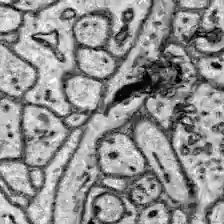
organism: Zebrafish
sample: Brain